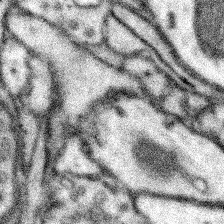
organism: Mouse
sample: Somatosensory cortex neuropil